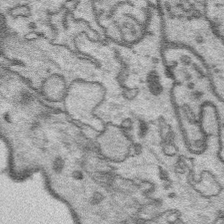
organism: Platynereis dumerilii